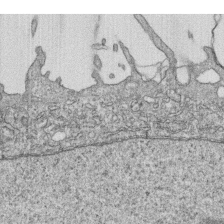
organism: Human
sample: HeLa cell HIV synapse